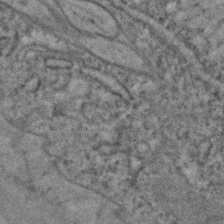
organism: C. elegans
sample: C. elegans embryo